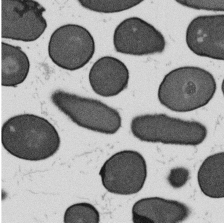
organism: B. subtilis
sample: Bacterial spore